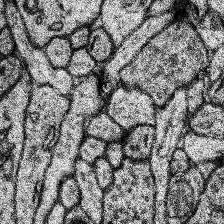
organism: Human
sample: Temporal Lobe